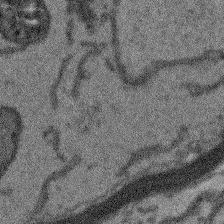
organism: Arabidopsis thaliana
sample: Root tip